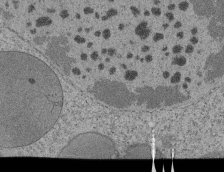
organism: Tetrahymena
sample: Cilia in tetrahymena